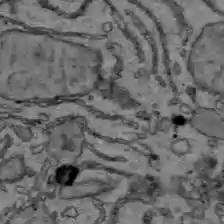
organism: C57BL Mouse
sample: Liver